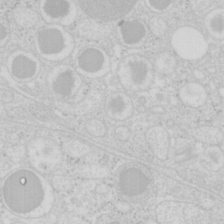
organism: Mouse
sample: Pancreas